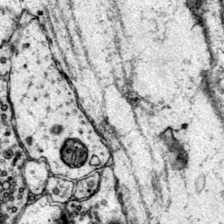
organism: Mouse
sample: Primary visual cortex